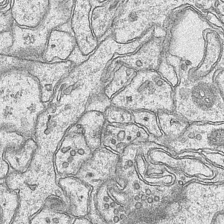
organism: Mouse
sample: CA1 Hippocampus